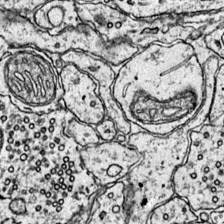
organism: Mouse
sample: Primary visual cortex